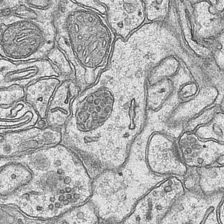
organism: Mouse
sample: CA1 Hippocampus